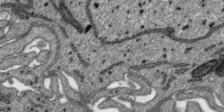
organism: Human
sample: Lung epithelial cells, uninfected (mock) control